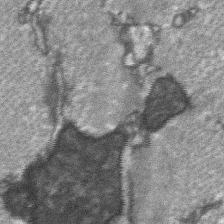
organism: C57BL Mouse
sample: Soleus